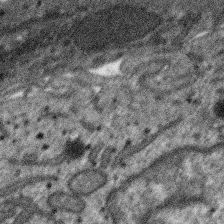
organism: Human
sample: Lung epithelial cells infected with SARS-CoV-2